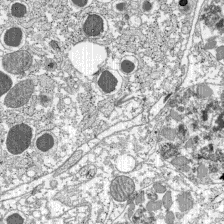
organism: C57BL Mouse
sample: Pancreatic islet